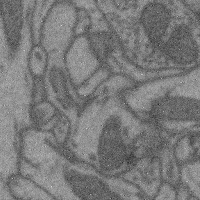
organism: Mouse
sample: Cerebral cortex